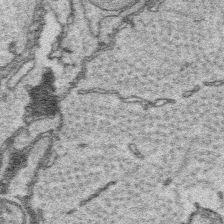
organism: Platynereis dumerilii